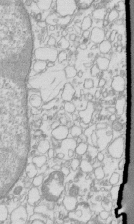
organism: Mouse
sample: Macrophages